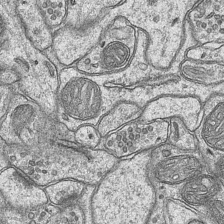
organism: Mouse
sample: CA1 Hippocampus